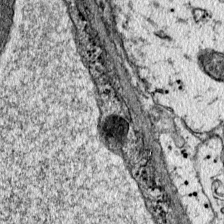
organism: Mouse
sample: Primary visual cortex